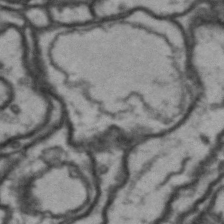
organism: Drosophila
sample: Brain